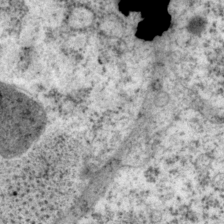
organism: P. pacificus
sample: Pharynx